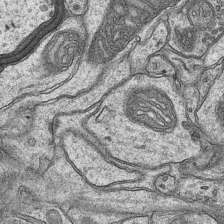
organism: Mouse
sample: CA1 Hippocampus